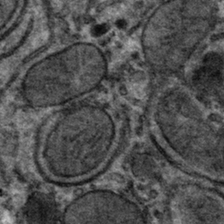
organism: Mouse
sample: Mouse hepatocytes